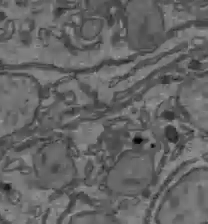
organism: C57BL Mouse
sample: Liver